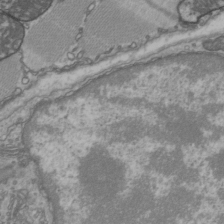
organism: C57BL Mouse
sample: Heart